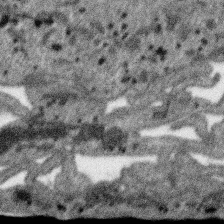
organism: Human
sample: Lung epithelial cells infected with SARS-CoV-2